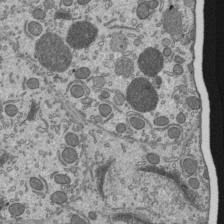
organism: Mouse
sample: Mouse epididymis efferent ductule cilia